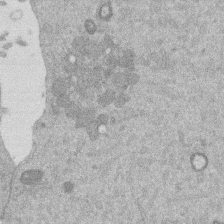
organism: Mouse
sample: Dividing mouse embryo 1 cell stage